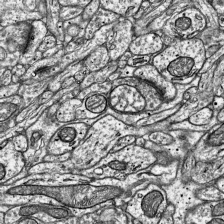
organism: Mouse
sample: Visual Cortex